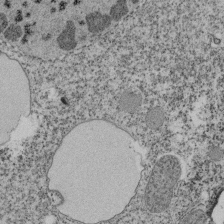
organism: Tetrahymena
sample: Cilia in tetrahymena